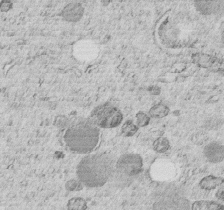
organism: C. elegans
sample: C. elegans embryo early stage